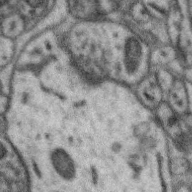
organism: Zebra finch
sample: Brain